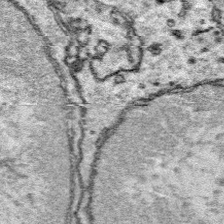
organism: Platynereis dumerilii